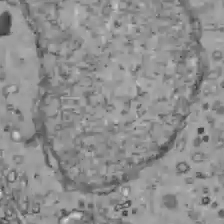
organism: C57BL Mouse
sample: Liver